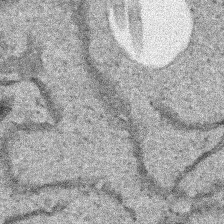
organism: Human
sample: Mitochondria in HCT116 cells